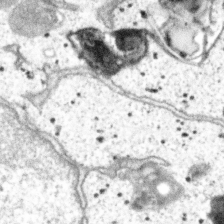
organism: Human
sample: HeLa cells